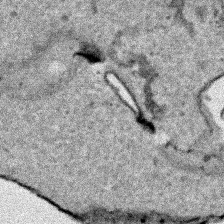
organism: Human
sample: Mitochondria in HCT116 cells